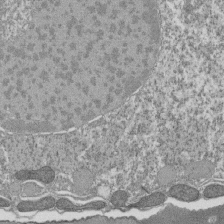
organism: Tetrahymena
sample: Cilia in tetrahymena